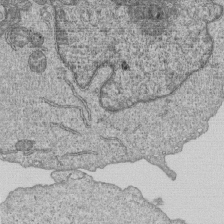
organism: Human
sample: MDA-MB-231 cells